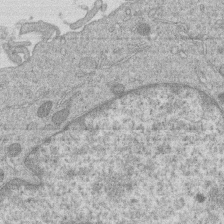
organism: Human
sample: Macrophage cells